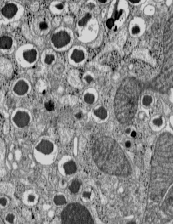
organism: C57BL Mouse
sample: Pancreatic islet